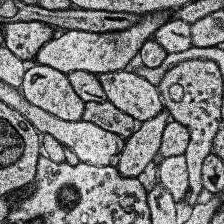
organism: Human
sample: Temporal Lobe